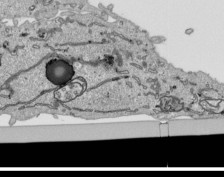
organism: Human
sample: Mitochondria in HCT116 cells